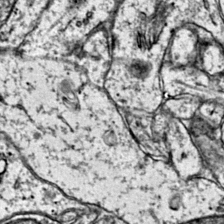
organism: Mouse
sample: Primary visual cortex